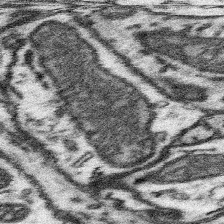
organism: Mouse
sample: Somatosensory cortex neuropil